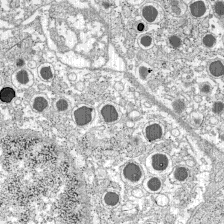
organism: C57BL Mouse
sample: Pancreatic islet